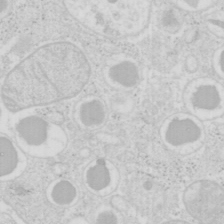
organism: Mouse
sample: Pancreas